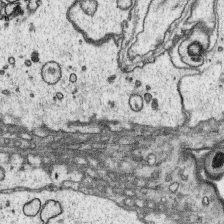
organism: Platynereis dumerilii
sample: Parapodia